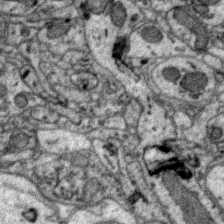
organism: Zebra finch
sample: Brain